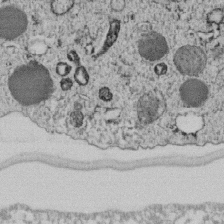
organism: C. elegans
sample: C. elegans embryo early stage